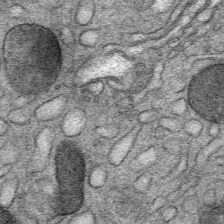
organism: Mouse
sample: Mouse Salivary gland